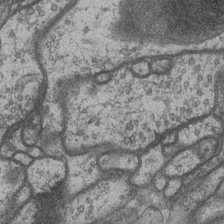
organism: Drosophila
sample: Optic medulla